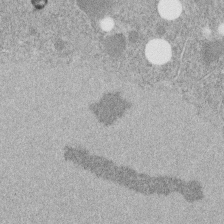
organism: C. elegans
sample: C. elegans embryo early stage